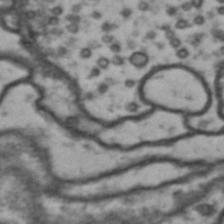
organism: Drosophila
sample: Brain